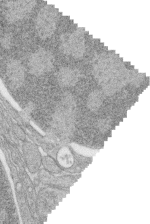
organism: Zebrafish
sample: synaptic ribbons in rod cells and cone cells